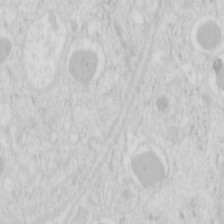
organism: Mouse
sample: Pancreas